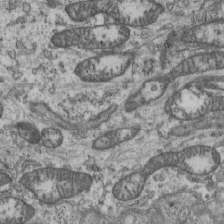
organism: Mouse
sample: Centriole in ependymal cells